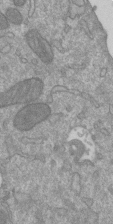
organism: Mouse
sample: ED-1 cell nuclei; centrioles